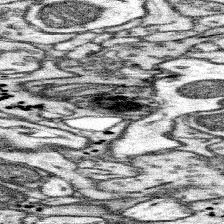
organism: Mouse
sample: Somatosensory cortex neuropil